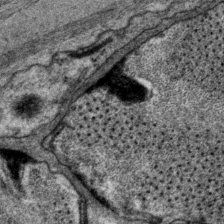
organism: P. pacificus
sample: Pharynx